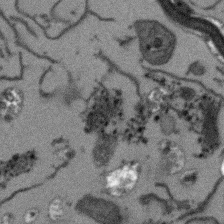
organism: Arabidopsis thaliana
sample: Root tip